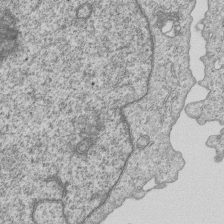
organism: Human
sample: MDA-MB-231 cells